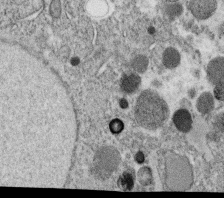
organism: C. elegans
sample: C. elegans oocyte; sperm cells